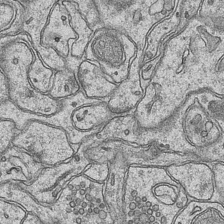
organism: Mouse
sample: CA1 Hippocampus